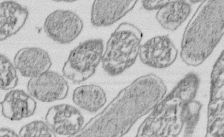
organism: E. coli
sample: Bacterial nucleoid